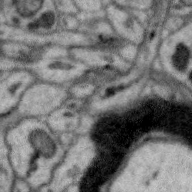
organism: Zebra finch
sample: Brain